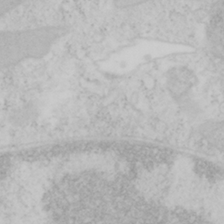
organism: Mouse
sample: OT-I killer T cells with ID8 ovarian cancer cells